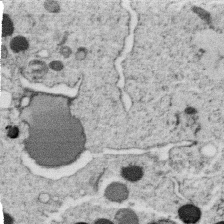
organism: C. elegans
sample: C. elegans oocyte; sperm cells